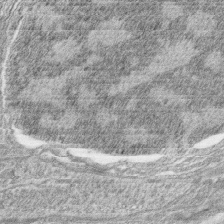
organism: Zebrafish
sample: synaptic ribbons in rod cells and cone cells